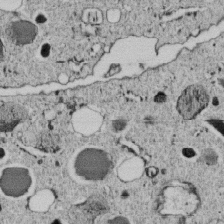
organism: C. elegans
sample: C. elegans embryo early stage